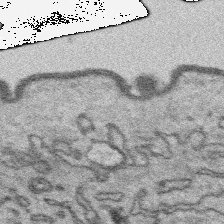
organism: Platynereis dumerilii